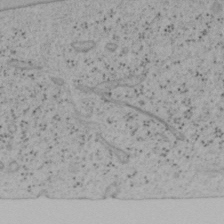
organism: Human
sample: HeLa cells